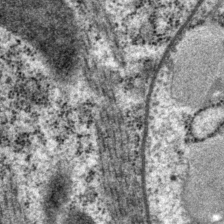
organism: P. pacificus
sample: Pharynx